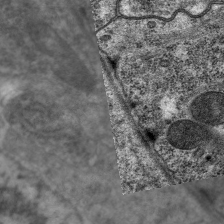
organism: C. elegans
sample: Pharynx